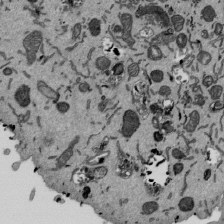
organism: Mouse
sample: ED-1 cell nuclei; centrioles